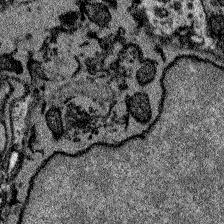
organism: Zebrafish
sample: Larval olfactory bulb